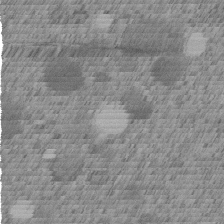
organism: C. elegans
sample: C. elegans embryo early stage